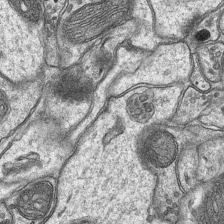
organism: Mouse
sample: CA1 Hippocampus